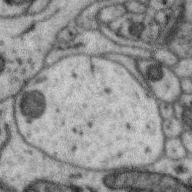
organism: Zebra finch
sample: Brain